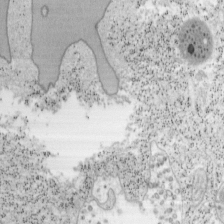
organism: Mouse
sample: OT-I killer T cells with ID8 ovarian cancer cells